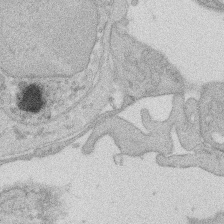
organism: Rat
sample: Salivary granule